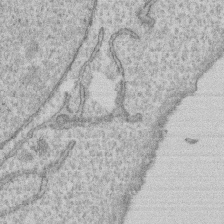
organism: Human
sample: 1205lu cells